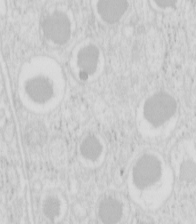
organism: Mouse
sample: Pancreas